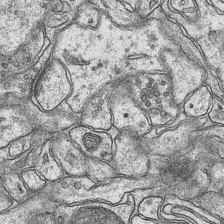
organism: Mouse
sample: CA1 Hippocampus